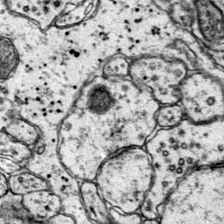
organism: Mouse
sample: Primary visual cortex